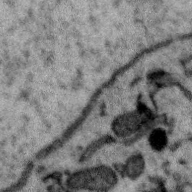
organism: Zebra finch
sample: Brain